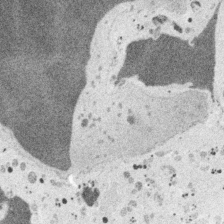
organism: Embia sp.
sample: Silk gland